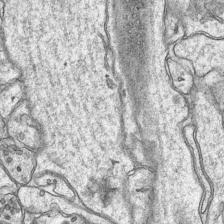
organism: Mouse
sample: CA1 Hippocampus